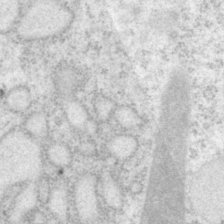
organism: P. pacificus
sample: Pharynx